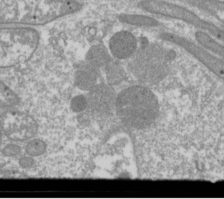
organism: Drosophila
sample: Cell division; meiosis; drosophila spermatocytes